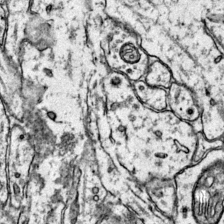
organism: Mouse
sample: Primary visual cortex